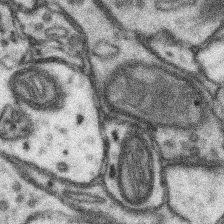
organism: Mouse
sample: Somatosensory cortex neuropil